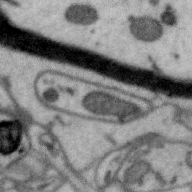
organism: Zebra finch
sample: Brain